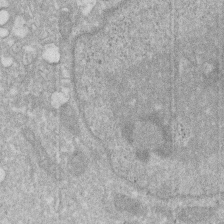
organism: Human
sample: HIV infected U937 cells